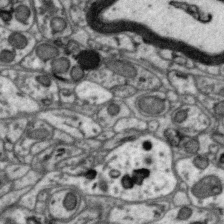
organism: Zebra finch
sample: Brain